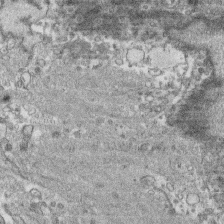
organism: Human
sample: CRL-1474